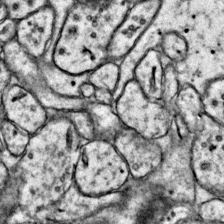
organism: Mouse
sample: Primary visual cortex